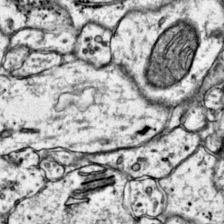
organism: Mouse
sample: Primary visual cortex